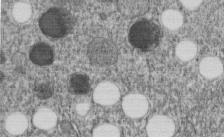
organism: C. elegans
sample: C. elegans embryo early stage